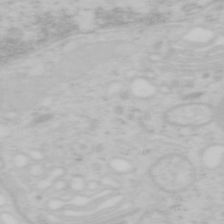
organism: Mouse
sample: OT-I killer T cells with ID8 ovarian cancer cells